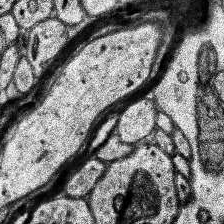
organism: Human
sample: Temporal Lobe